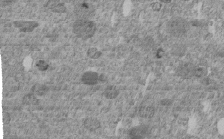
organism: C. elegans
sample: C. elegans embryo early stage